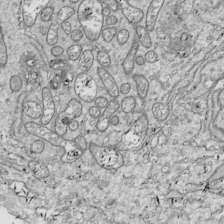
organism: Drosophila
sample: Cell division; meiosis; drosophila spermatocytes